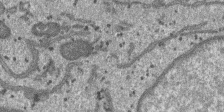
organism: Human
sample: Lung epithelial cells infected with SARS-CoV-2